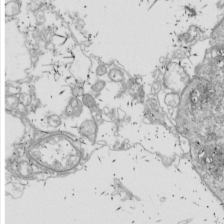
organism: Drosophila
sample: Cell division; meiosis; drosophila spermatocytes